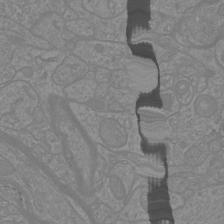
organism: Mouse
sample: Cortical neurons